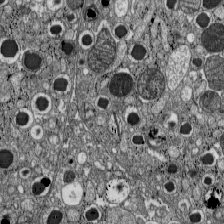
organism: C57BL Mouse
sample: Pancreatic islet